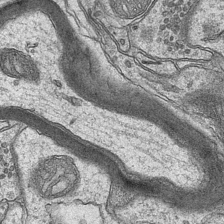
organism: Mouse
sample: CA1 Hippocampus